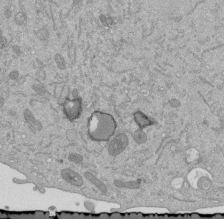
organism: Mouse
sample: ED-1 cell nuclei; centrioles